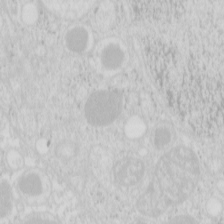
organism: Mouse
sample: Pancreas